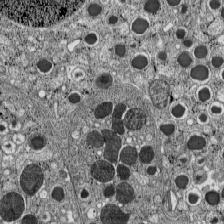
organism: C57BL Mouse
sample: Pancreatic islet